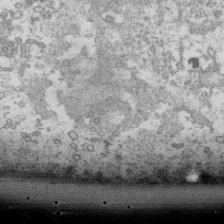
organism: Human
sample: Activated Jurkat CD4+ T cells